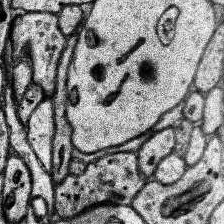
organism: Human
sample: Temporal Lobe